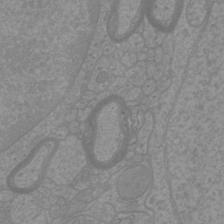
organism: Mouse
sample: Cortical neurons